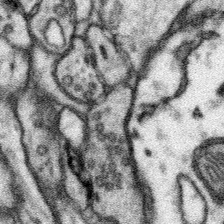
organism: Mouse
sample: Somatosensory cortex neuropil